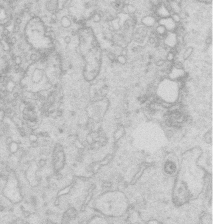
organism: Mouse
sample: Multiciliated cells